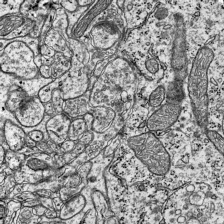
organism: Mouse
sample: Visual Cortex